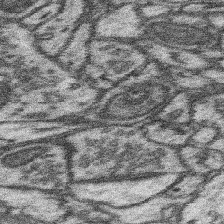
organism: Mouse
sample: Somatosensory cortex neuropil